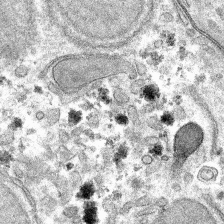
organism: Mouse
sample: Mouse hepatocytes